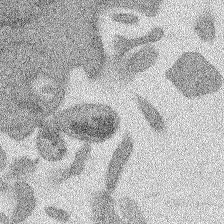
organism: Human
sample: HeLa cells